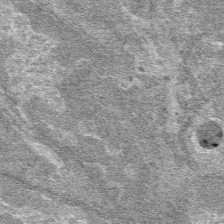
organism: Mouse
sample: Mouse hepatocytes